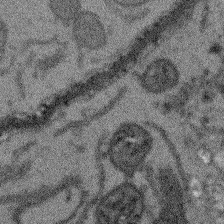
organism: Arabidopsis thaliana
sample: Root tip